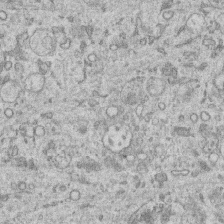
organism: Human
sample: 1205lu cells